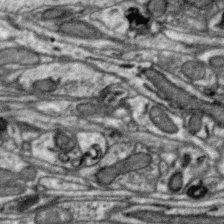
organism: Zebra finch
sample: Brain